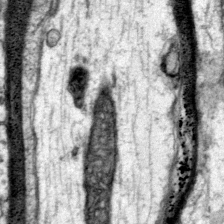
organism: Mouse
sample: Primary visual cortex